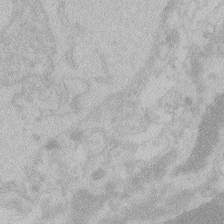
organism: Zebrafish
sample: Macrophage infected with Toxoplasma gondii